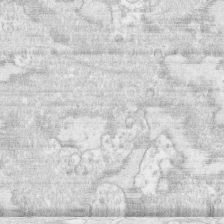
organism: Human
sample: CRL-1474